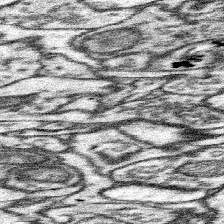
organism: Mouse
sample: Somatosensory cortex neuropil